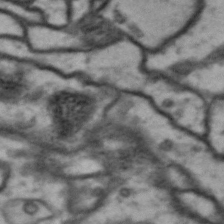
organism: Drosophila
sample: Brain